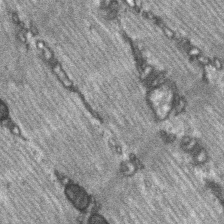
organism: C57BL Mouse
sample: Soleus